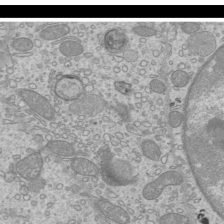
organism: Mouse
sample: Cilia; mouse epididymis